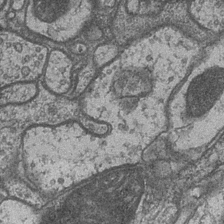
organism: Drosophila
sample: Optic medulla